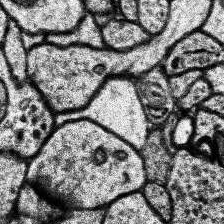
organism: Human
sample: Temporal Lobe